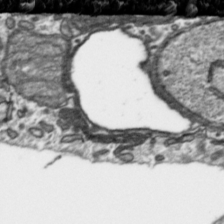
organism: Toxoplasma gondii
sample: Parasites in a vacuole inside a host cell